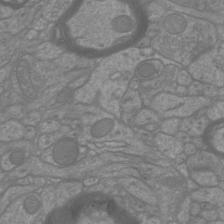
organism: Mouse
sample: Cortical neurons